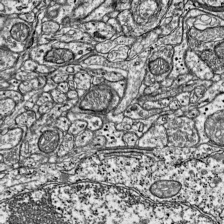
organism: Mouse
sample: Visual Cortex